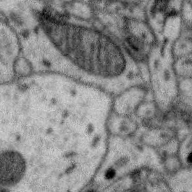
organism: Zebra finch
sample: Brain